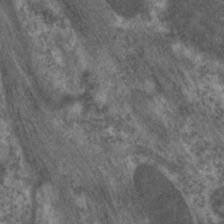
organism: C. elegans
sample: Pharynx